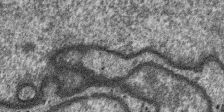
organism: Human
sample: Lung epithelial cells infected with SARS-CoV-2